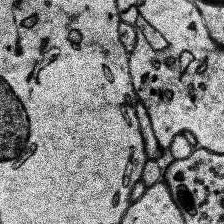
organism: Human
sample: Temporal Lobe